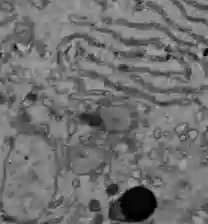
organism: C57BL Mouse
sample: Liver